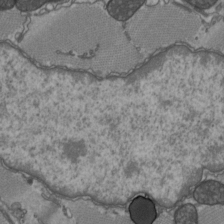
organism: C57BL Mouse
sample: Heart